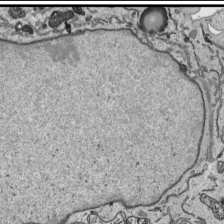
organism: Human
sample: Mitochondria in HCT116 cells